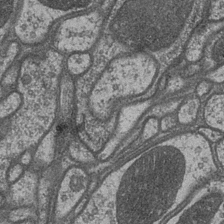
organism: Drosophila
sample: Optic medulla